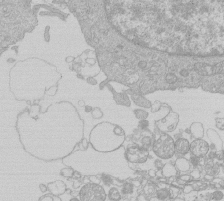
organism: Human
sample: Macrophage cells